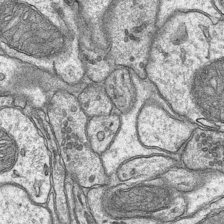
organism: Mouse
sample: CA1 Hippocampus